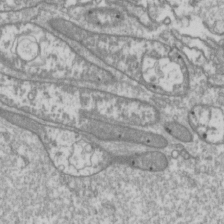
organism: Drosophila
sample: Cell division; meiosis; drosophila spermatocytes